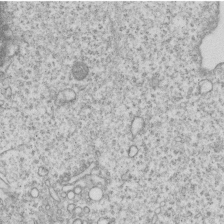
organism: Human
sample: MDA-MB-231 cells